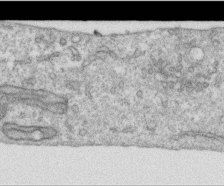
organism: Human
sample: Centriole in RPE cells